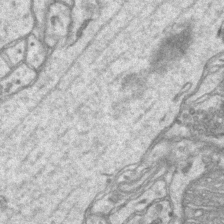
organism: Mouse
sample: CA1 Hippocampus